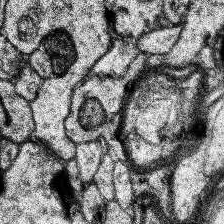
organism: Human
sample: Temporal Lobe